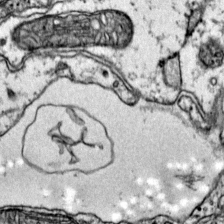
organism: Mouse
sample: Primary visual cortex